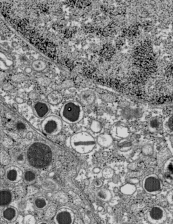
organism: C57BL Mouse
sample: Pancreatic islet